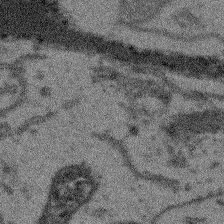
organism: Arabidopsis thaliana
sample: Root tip